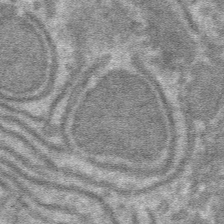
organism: Mouse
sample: Mouse hepatocytes